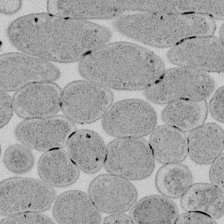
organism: E. coli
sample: Bacterial nucleoid